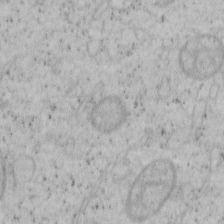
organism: Human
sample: HeLa cells